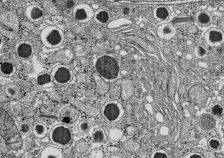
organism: C57BL Mouse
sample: Pancreatic islet